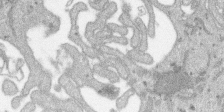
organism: Human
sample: Lung epithelial cells infected with SARS-CoV-2